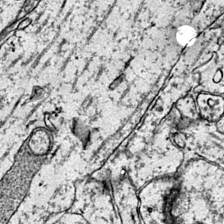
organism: Mouse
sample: Primary visual cortex